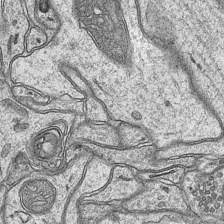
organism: Mouse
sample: CA1 Hippocampus